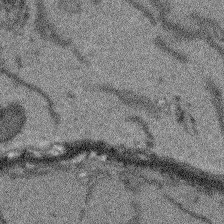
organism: Arabidopsis thaliana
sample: Root tip